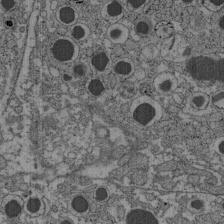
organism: C57BL Mouse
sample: Pancreatic islet